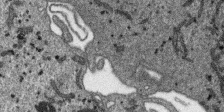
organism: Human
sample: Lung epithelial cells infected with SARS-CoV-2